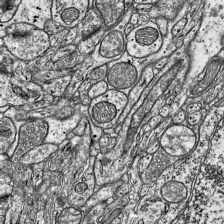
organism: Mouse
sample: Visual Cortex